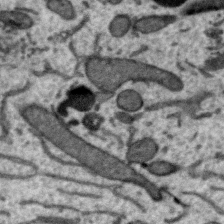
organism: Zebra finch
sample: Brain